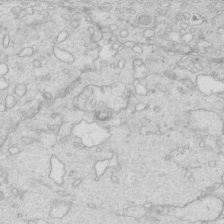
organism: Mouse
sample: Multiciliated cells